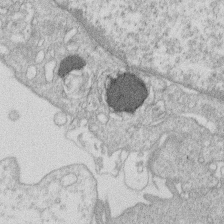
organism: Human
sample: Macrophage cells